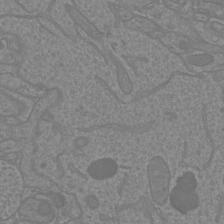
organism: Mouse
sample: Cortical neurons